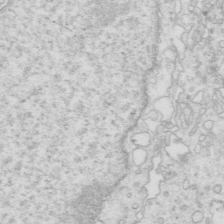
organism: Mouse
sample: Multiciliated cells